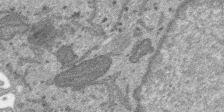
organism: Human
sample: Lung epithelial cells infected with SARS-CoV-2